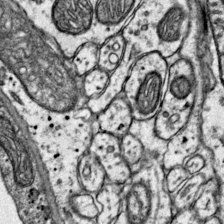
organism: Mouse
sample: Primary visual cortex